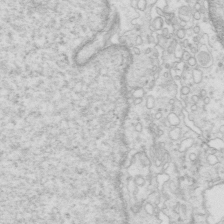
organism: Mouse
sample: Multiciliated cells